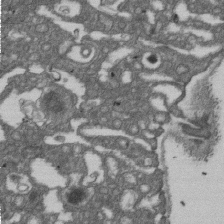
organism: Drosophila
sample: Nephrocyte